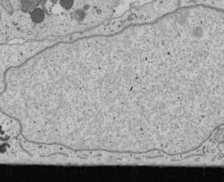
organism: Human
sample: Mitochondria in U2OS cells